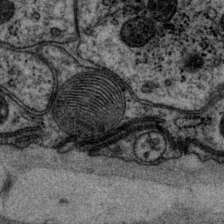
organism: P. pacificus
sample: Pharynx